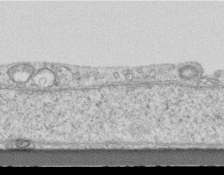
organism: Mouse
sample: Centriole in ependymal cells